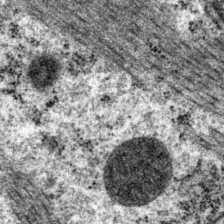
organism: P. pacificus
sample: Pharynx